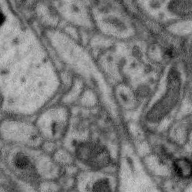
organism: Zebra finch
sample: Brain